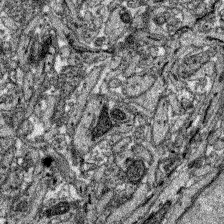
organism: Zebrafish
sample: Larval olfactory bulb